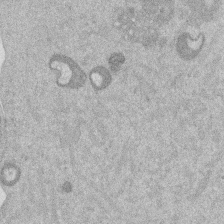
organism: Mouse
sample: Dividing mouse embryo 1 cell stage